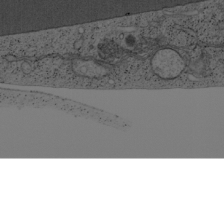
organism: African green monkey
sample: COS-7 cells